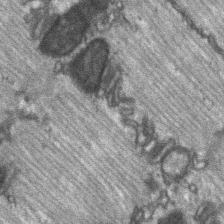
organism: C57BL Mouse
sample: Soleus